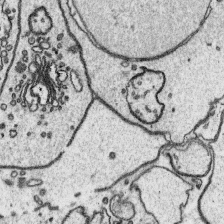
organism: Platynereis dumerilii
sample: Parapodia